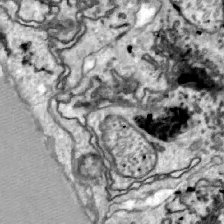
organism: Zebrafish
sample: Actinotrichia fibers